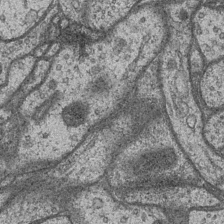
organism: Drosophila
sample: Optic medulla